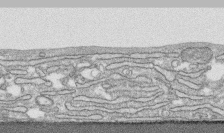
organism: Human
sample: CRL-1474